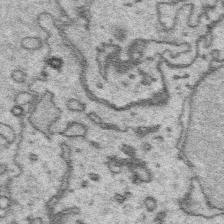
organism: Platynereis dumerilii